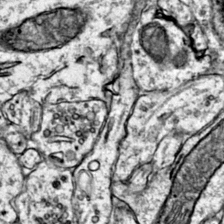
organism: Mouse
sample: Primary visual cortex